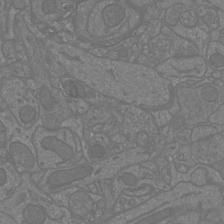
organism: Mouse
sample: Cortical neurons